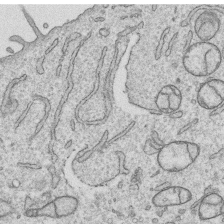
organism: Human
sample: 1205lu cells